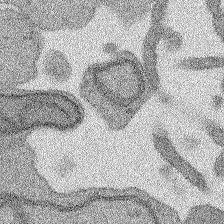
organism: Human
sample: HeLa cells